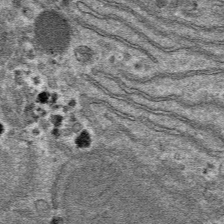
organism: Mouse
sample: Mouse hepatocytes